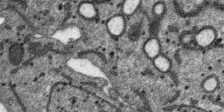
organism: Human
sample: Lung epithelial cells infected with SARS-CoV-2